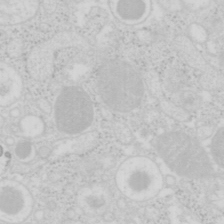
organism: Mouse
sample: Pancreas